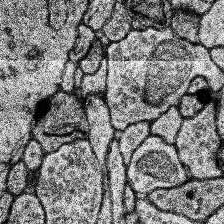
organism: Human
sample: Temporal Lobe